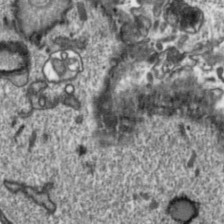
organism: Toxoplasma gondii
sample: Parasites in a vacuole inside a host cell